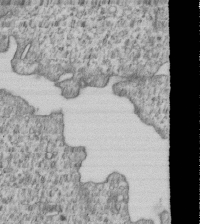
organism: Human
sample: MDA-MB-231 cells